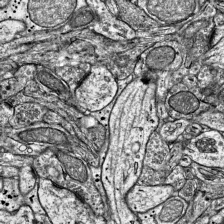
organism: Mouse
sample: Visual Cortex